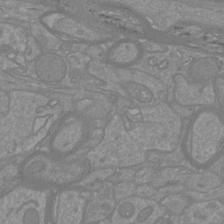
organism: Mouse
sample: Cortical neurons